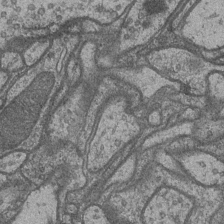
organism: Drosophila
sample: Optic medulla